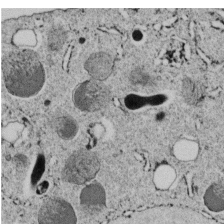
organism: C. elegans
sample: C. elegans embryo early stage